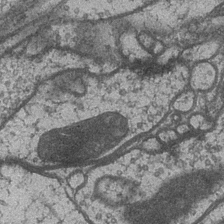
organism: Drosophila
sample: Optic medulla